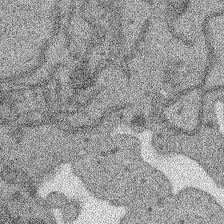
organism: Human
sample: HeLa cells